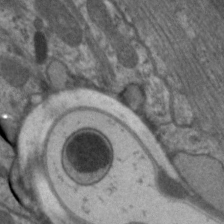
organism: C. elegans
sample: Pharynx